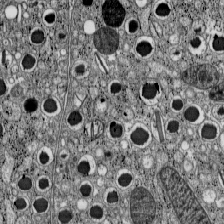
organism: C57BL Mouse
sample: Pancreatic islet